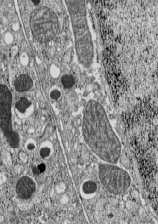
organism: C57BL Mouse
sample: Pancreatic islet